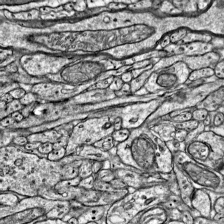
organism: Mouse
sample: Visual Cortex